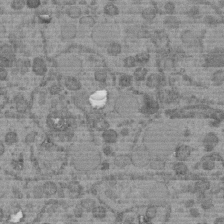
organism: C. elegans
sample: C. elegans embryo early stage